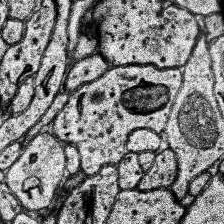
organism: Human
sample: Temporal Lobe